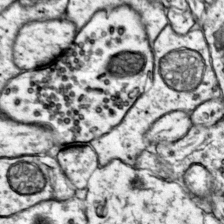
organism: Mouse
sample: Primary visual cortex